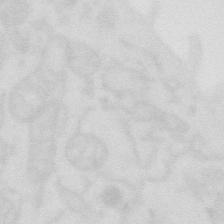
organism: Human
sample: HeLa cells